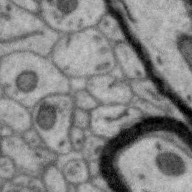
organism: Zebra finch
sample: Brain